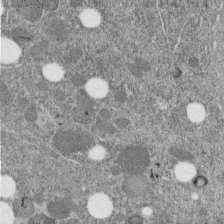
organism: C. elegans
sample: C. elegans embryo early stage